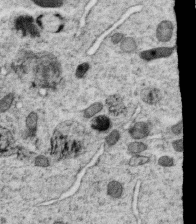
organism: C. elegans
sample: C. elegans oocyte; sperm cells